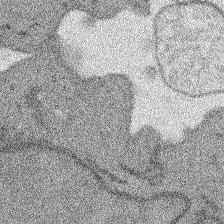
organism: Human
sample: HeLa cells